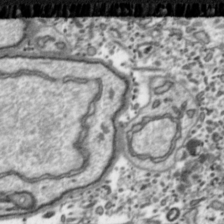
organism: Toxoplasma gondii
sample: Parasites in a vacuole inside a host cell